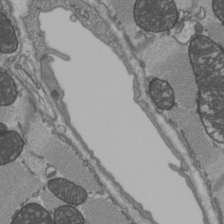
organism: C57BL Mouse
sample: Heart